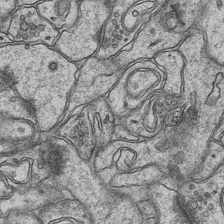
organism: Mouse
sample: CA1 Hippocampus